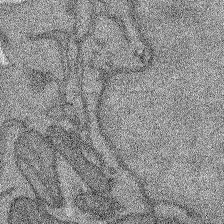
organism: Human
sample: HeLa cells